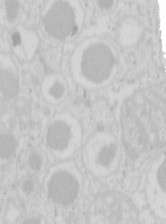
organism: Mouse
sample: Pancreas